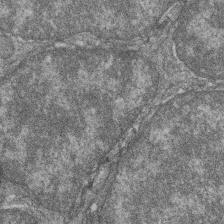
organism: Zebrafish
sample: Cilia; retinal pigment epithelium